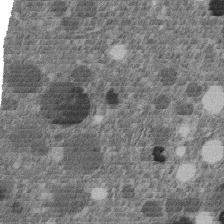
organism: C. elegans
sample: C. elegans embryo early stage